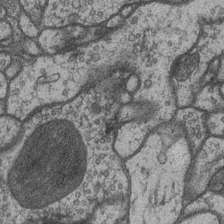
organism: Drosophila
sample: Optic medulla